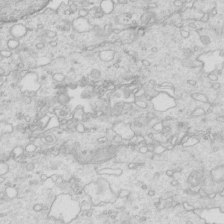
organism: Mouse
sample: Multiciliated cells